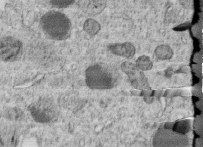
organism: C. elegans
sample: C. elegans embryo early stage